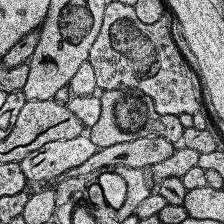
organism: Human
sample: Temporal Lobe